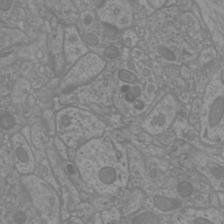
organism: Mouse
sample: Cortical neurons